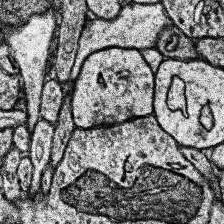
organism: Human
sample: Temporal Lobe